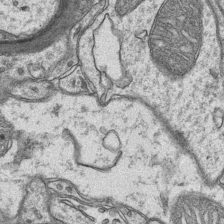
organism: Mouse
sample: CA1 Hippocampus